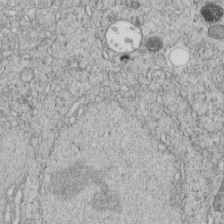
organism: C. elegans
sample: C. elegans embryo early stage